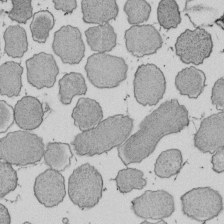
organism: E. coli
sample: Bacterial nucleoid